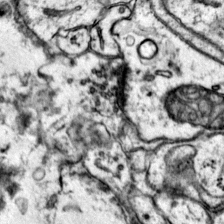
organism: Mouse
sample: Primary visual cortex